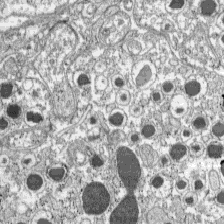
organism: C57BL Mouse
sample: Pancreatic islet